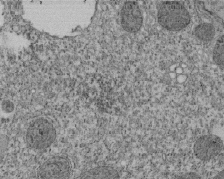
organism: Tetrahymena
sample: Cilia in tetrahymena